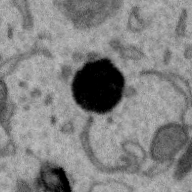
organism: Zebra finch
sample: Brain